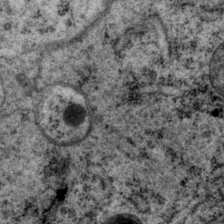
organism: P. pacificus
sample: Pharynx